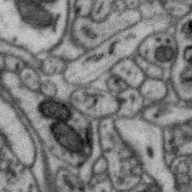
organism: Zebra finch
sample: Brain